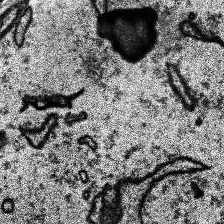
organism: Human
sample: Temporal Lobe